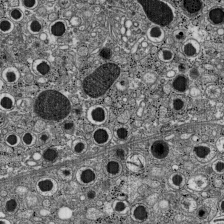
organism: C57BL Mouse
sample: Pancreatic islet